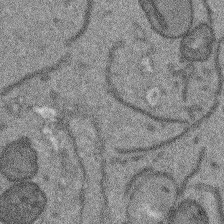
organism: Arabidopsis thaliana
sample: Root tip